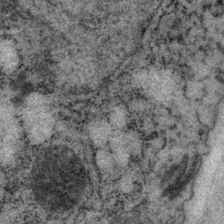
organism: P. pacificus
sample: Pharynx